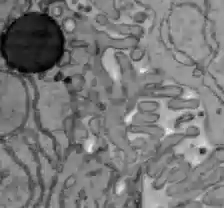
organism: C57BL Mouse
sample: Liver